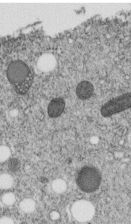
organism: C. elegans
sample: C. elegans embryo early stage